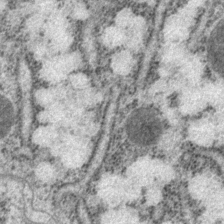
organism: P. pacificus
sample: Pharynx